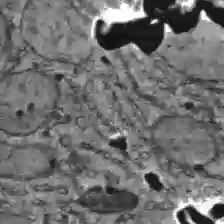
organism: C57BL Mouse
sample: Liver